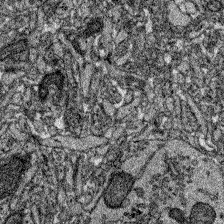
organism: Zebrafish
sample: Larval olfactory bulb